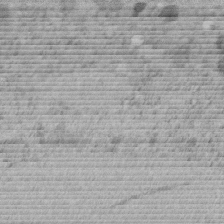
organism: C. elegans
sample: C. elegans embryo early stage